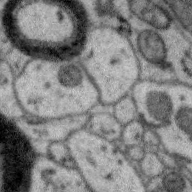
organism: Zebra finch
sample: Brain